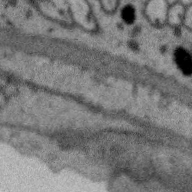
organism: Zebra finch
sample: Brain